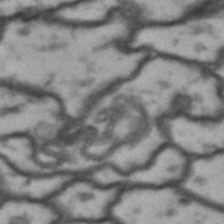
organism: Drosophila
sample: Brain